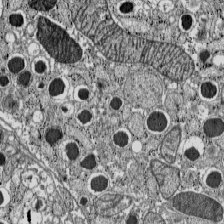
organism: C57BL Mouse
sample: Pancreatic islet